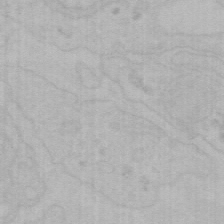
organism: Mouse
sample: Choroid plexus